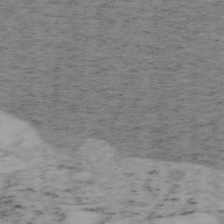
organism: Mouse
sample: OT-I killer T cells with ID8 ovarian cancer cells